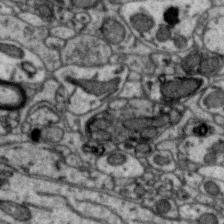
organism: Zebra finch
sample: Brain